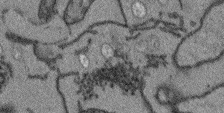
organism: Arabidopsis thaliana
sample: Root tip